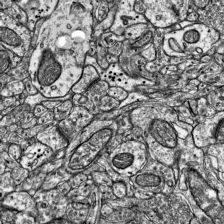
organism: Mouse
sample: Visual Cortex